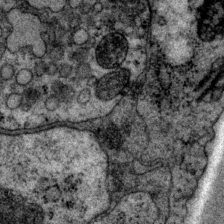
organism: P. pacificus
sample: Pharynx